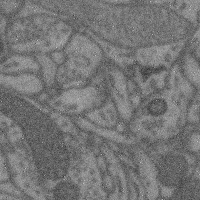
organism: Mouse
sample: Cerebral cortex